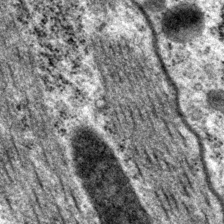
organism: P. pacificus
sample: Pharynx